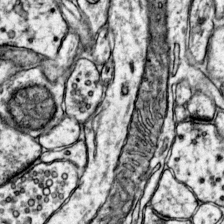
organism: Mouse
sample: Primary visual cortex